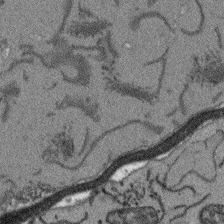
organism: Arabidopsis thaliana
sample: Root tip